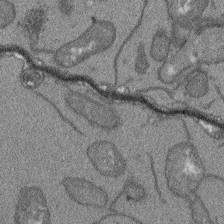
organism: Arabidopsis thaliana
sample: Root tip